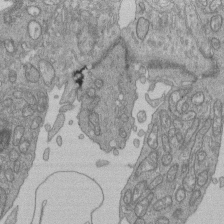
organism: Human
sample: Retinal organoid Rod and Cone cells